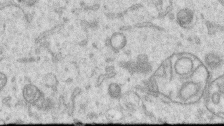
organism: Human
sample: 1205lu cells